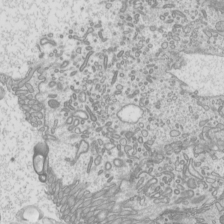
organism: Mouse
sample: Cilia; mouse epididymis